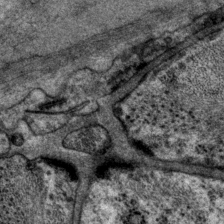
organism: P. pacificus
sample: Pharynx